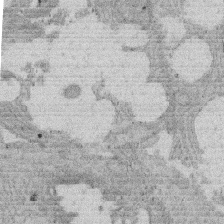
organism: Rat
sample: Salivary granule